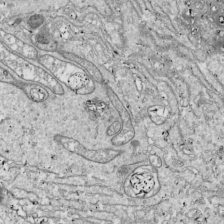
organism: Drosophila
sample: Cell division; meiosis; drosophila spermatocytes